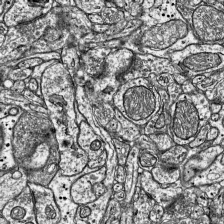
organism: Mouse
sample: Visual Cortex